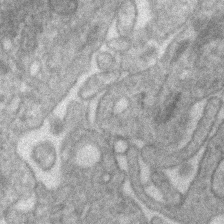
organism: Human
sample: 1205lu cells